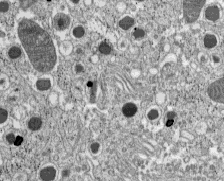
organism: C57BL Mouse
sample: Pancreatic islet